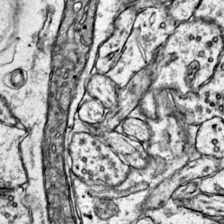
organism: Mouse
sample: Primary visual cortex